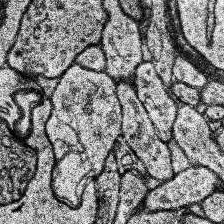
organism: Human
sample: Temporal Lobe